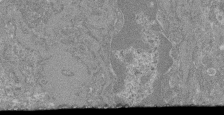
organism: Mouse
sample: Glomerulus